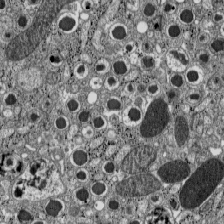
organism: C57BL Mouse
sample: Pancreatic islet